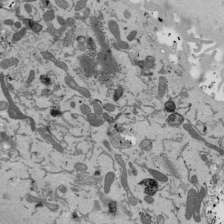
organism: Mouse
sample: ED-1 cell nuclei; centrioles